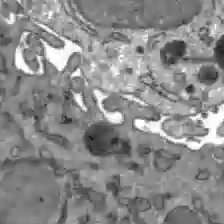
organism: C57BL Mouse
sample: Liver